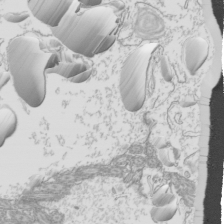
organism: Mouse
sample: Cilia; mouse epididymis